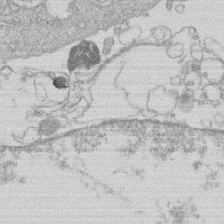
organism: Human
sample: Macrophage cells